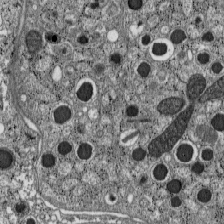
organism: C57BL Mouse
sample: Pancreatic islet